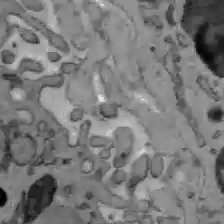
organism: C57BL Mouse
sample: Liver